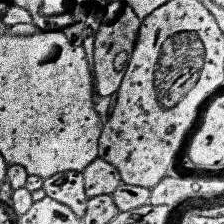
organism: Human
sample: Temporal Lobe